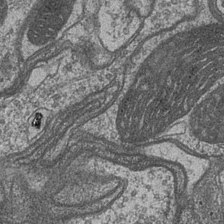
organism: Drosophila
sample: Optic medulla